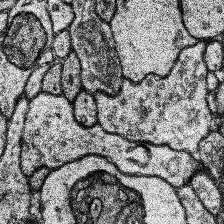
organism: Human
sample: Temporal Lobe